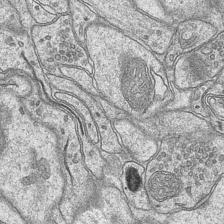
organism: Mouse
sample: CA1 Hippocampus